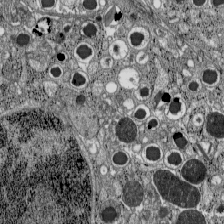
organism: C57BL Mouse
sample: Pancreatic islet